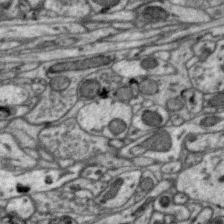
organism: Zebra finch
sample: Brain